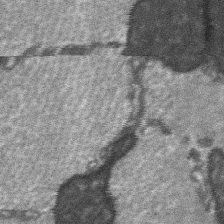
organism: C57BL Mouse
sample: Soleus